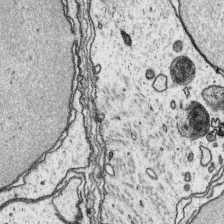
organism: Platynereis dumerilii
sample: Parapodia